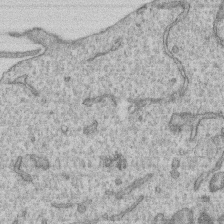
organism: Human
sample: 1205lu cells